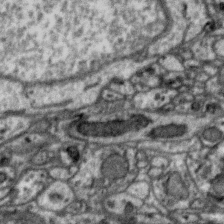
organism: Zebra finch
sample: Brain